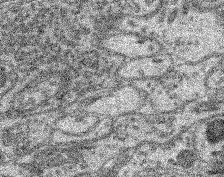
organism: Mouse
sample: Retina